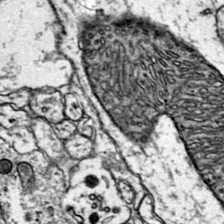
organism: Mouse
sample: Primary visual cortex